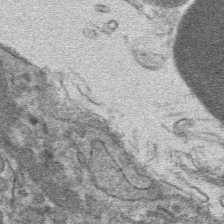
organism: Mouse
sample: Mouse hepatocytes